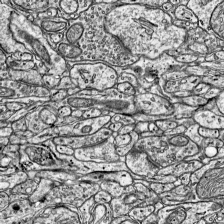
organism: Mouse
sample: Visual Cortex